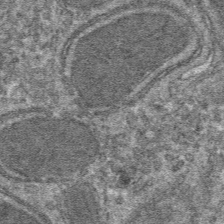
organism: Mouse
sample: Mouse hepatocytes